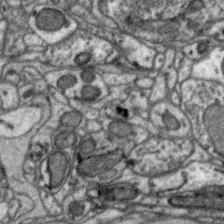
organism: Zebra finch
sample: Brain